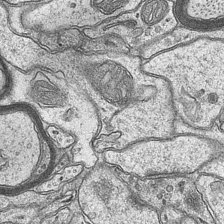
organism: Mouse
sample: CA1 Hippocampus